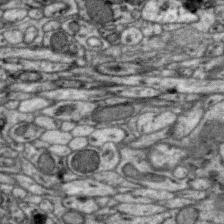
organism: Zebra finch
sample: Brain